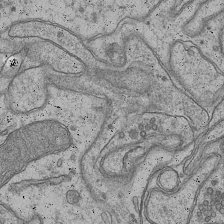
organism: Mouse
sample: CA1 Hippocampus